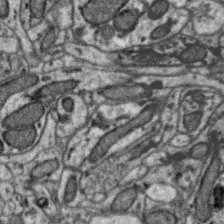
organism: Zebra finch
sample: Brain